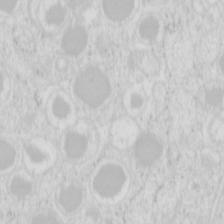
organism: Mouse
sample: Pancreas